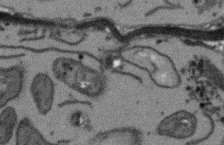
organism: Arabidopsis thaliana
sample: Root tip